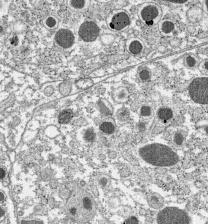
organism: C57BL Mouse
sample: Pancreatic islet